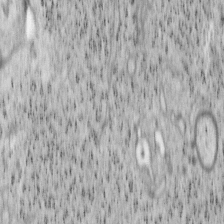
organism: Human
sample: HeLa cells